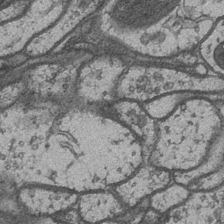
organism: Drosophila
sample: Optic medulla